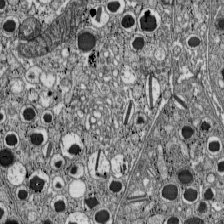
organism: C57BL Mouse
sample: Pancreatic islet